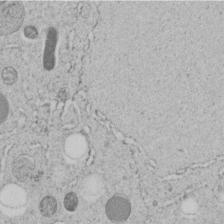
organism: C. elegans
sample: C. elegans embryo early stage